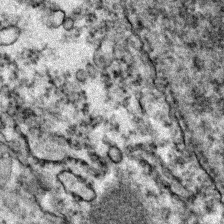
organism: Zebrafish